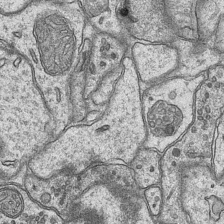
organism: Mouse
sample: CA1 Hippocampus